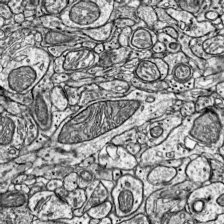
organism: Mouse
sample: Visual Cortex